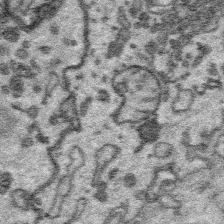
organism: Platynereis dumerilii